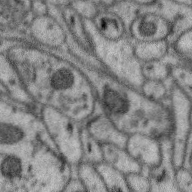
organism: Zebra finch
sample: Brain